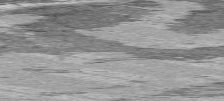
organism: C57BL Mouse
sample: Heart